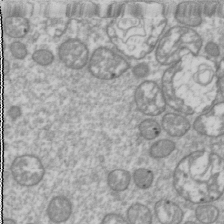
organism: Drosophila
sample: Cell division; meiosis; drosophila spermatocytes